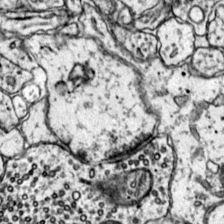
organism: Mouse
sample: Primary visual cortex